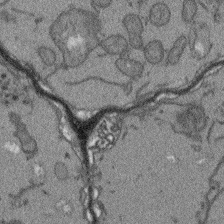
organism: Arabidopsis thaliana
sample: Root tip